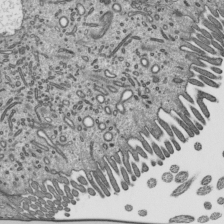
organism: Mouse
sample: Mouse epididymis efferent ductule cilia